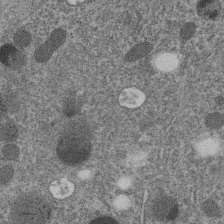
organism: C. elegans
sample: C. elegans embryo early stage